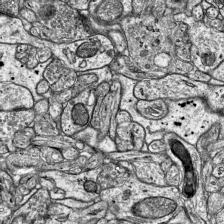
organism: Mouse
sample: Visual Cortex